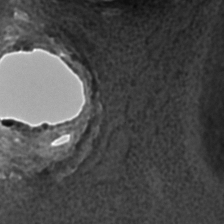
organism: C. elegans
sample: C. elegans embryo